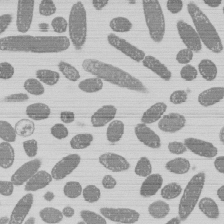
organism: E. coli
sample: Bacterial nucleoid